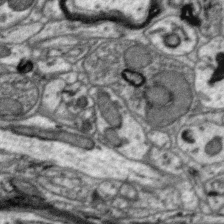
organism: Zebra finch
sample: Brain